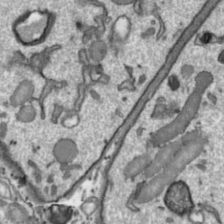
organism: Toxoplasma gondii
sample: Parasites in a vacuole inside a host cell